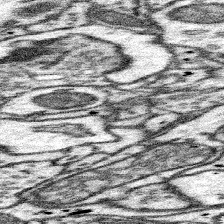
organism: Mouse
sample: Somatosensory cortex neuropil